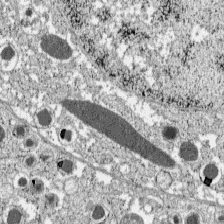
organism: C57BL Mouse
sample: Pancreatic islet